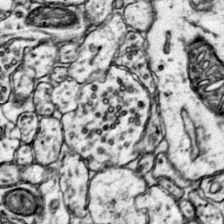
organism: Mouse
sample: Primary visual cortex